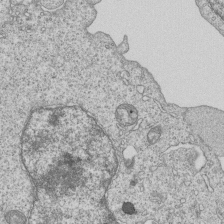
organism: Human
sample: MDA-MB-231 cells